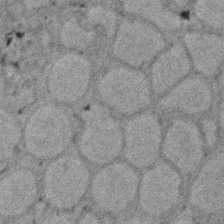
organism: Zebrafish